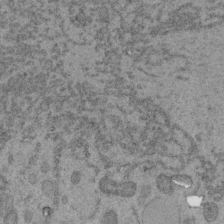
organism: C. elegans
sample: C. elegans embryo early stage